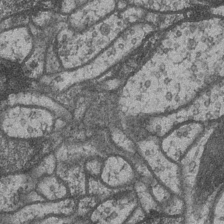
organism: Drosophila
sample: Optic medulla